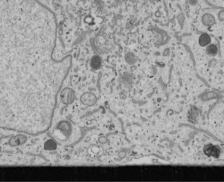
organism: Human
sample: Mitochondria in U2OS cells